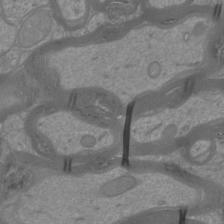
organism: Mouse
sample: Cortical neurons